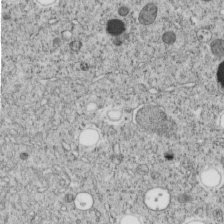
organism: C. elegans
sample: C. elegans embryo early stage